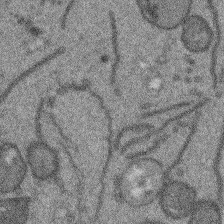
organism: Arabidopsis thaliana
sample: Root tip